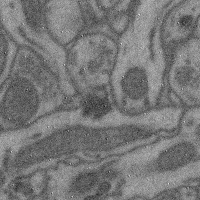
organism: Mouse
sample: Cerebral cortex